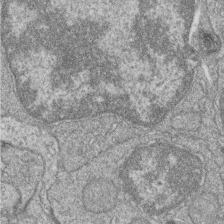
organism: Zebrafish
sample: Cilia; retinal pigment epithelium